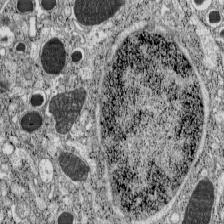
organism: C57BL Mouse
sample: Pancreatic islet